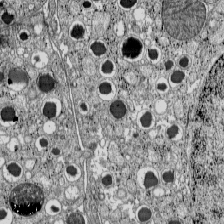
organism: C57BL Mouse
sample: Pancreatic islet